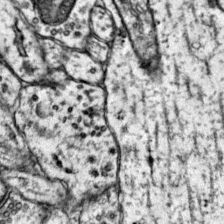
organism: Mouse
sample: Primary visual cortex